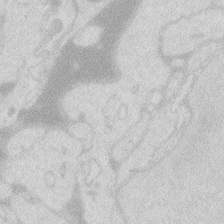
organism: Zebrafish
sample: Macrophage